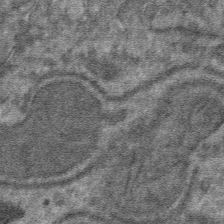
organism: Mouse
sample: Mouse hepatocytes